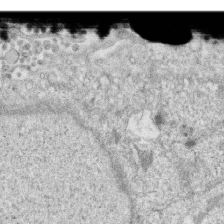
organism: Human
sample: HeLa cell HIV synapse